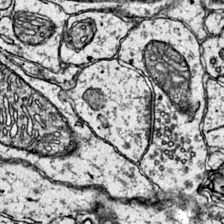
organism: Mouse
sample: Primary visual cortex